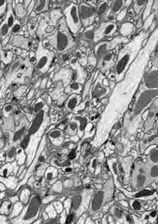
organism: Drosophila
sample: Optic lobe